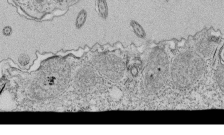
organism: Tetrahymena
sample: Cilia in tetrahymena